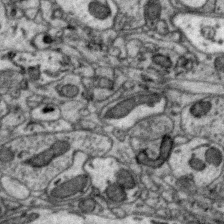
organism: Zebra finch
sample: Brain